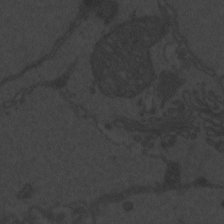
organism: Zebrafish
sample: Macrophage infected with Toxoplasma gondii